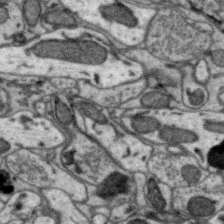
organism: Zebra finch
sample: Brain